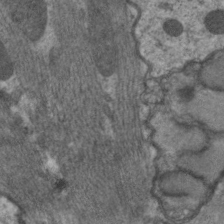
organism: C. elegans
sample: Pharynx